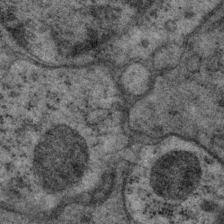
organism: P. pacificus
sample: Pharynx